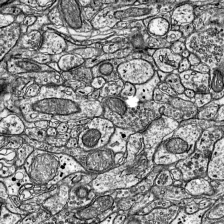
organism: Mouse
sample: Visual Cortex